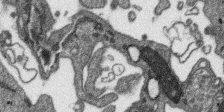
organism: Human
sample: Lung epithelial cells infected with SARS-CoV-2